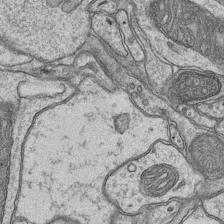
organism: Mouse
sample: CA1 Hippocampus